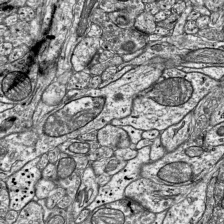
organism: Mouse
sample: Visual Cortex